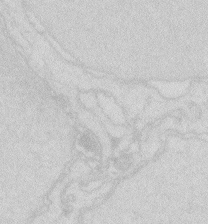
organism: Zebrafish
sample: Macrophage